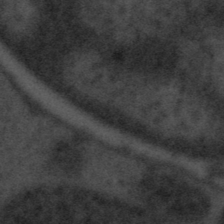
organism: Tuwongella immobilis